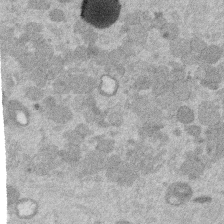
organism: Mouse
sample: Dividing mouse embryo 1 cell stage